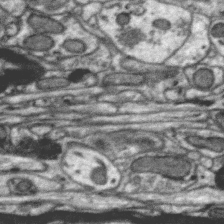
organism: Zebra finch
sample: Brain